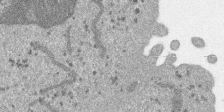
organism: Human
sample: Lung epithelial cells infected with SARS-CoV-2